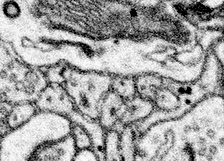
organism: Mouse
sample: Somatosensory cortex neuropil